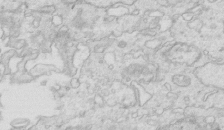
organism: Mouse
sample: Multiciliated cells